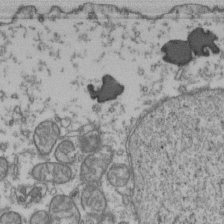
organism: Human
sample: Activated Jurkat CD4+ T cells